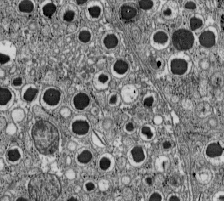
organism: C57BL Mouse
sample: Pancreatic islet